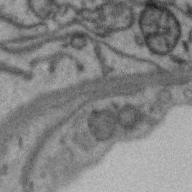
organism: Zebra finch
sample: Brain